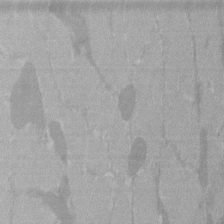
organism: C57BL Mouse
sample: Tibialis anterior muscle cell